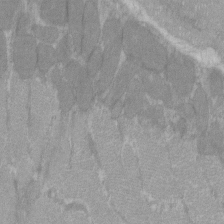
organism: C57BL Mouse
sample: Tibialis anterior muscle cell